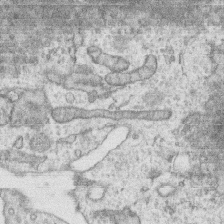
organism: Human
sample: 1205lu cells